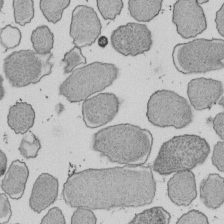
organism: E. coli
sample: Bacterial nucleoid